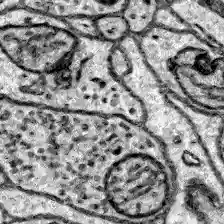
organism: Zebrafish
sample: Brain